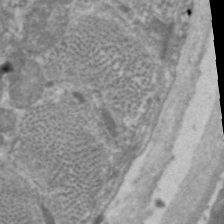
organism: C. elegans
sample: Pharynx